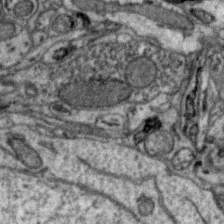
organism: Zebra finch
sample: Brain